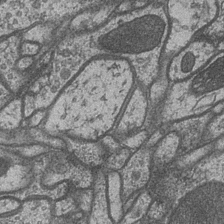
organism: Drosophila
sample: Optic medulla